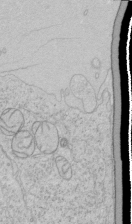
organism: Human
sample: Mitochondria in HCT116 cells